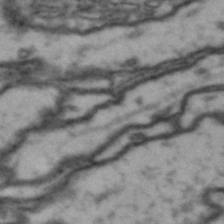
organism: Drosophila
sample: Brain